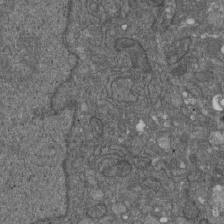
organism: Drosophila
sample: Nephrocyte